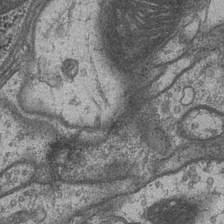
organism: Drosophila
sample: Optic medulla